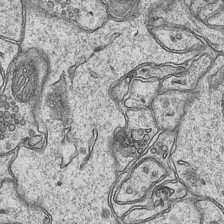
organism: Mouse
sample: CA1 Hippocampus